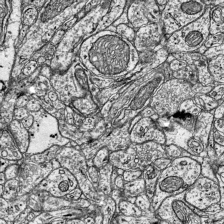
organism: Mouse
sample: Visual Cortex